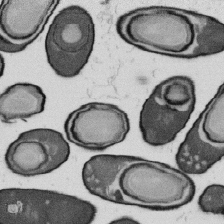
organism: B. subtilis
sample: Bacterial spore